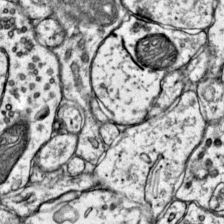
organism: Mouse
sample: Primary visual cortex